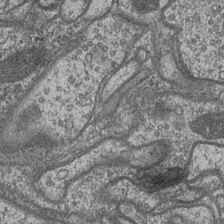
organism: Drosophila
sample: Optic medulla